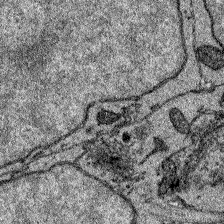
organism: Zebrafish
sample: Larval olfactory bulb